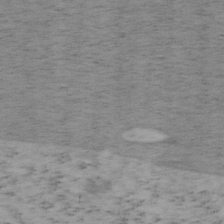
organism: Mouse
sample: OT-I killer T cells with ID8 ovarian cancer cells